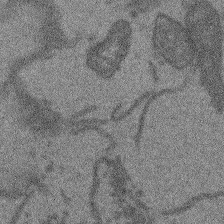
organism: Arabidopsis thaliana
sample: Root tip